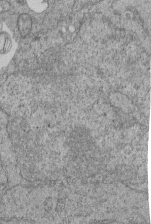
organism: Human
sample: Retinal organoid Rod and Cone cells